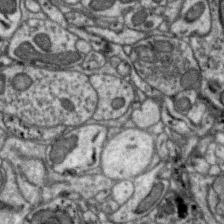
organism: Zebra finch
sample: Brain